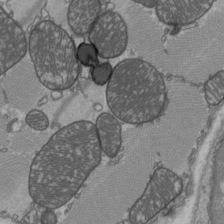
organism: C57BL Mouse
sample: Heart